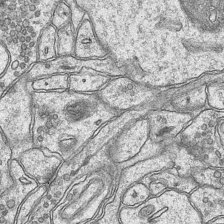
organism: Mouse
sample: CA1 Hippocampus